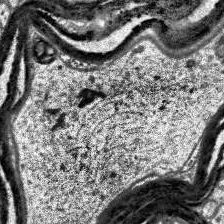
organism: Human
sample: Temporal Lobe